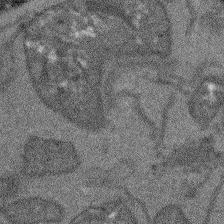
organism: Arabidopsis thaliana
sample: Root tip